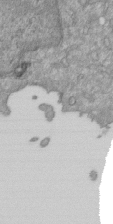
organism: Mouse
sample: ED-1 cell nuclei; centrioles